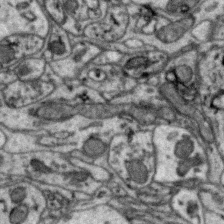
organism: Zebra finch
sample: Brain